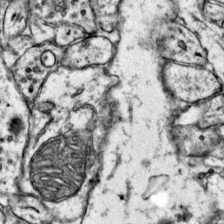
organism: Mouse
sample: Primary visual cortex